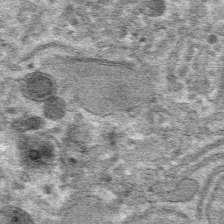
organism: Mouse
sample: Mouse hepatocytes